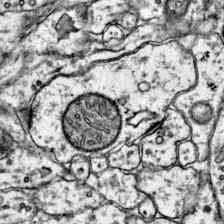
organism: Mouse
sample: Primary visual cortex